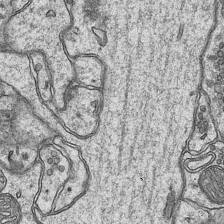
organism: Mouse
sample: CA1 Hippocampus